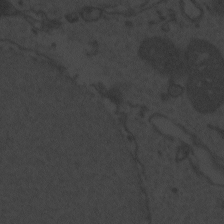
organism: Zebrafish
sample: Macrophage infected with Toxoplasma gondii